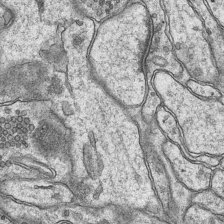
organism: Mouse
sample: CA1 Hippocampus